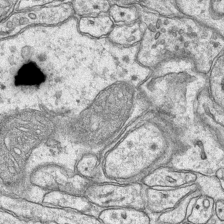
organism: Mouse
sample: CA1 Hippocampus